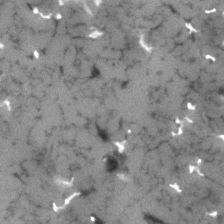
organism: Human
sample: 1205lu cells